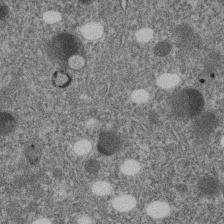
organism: C. elegans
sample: C. elegans embryo early stage